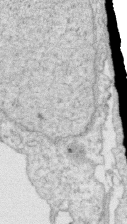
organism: Human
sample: HeLa cell HIV synapse